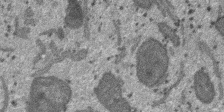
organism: Human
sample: Lung epithelial cells infected with SARS-CoV-2